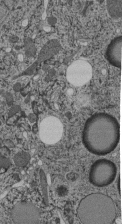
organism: C. elegans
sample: C. elegans pharynx